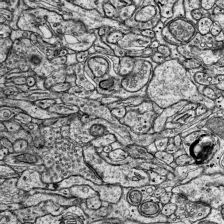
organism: Mouse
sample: Visual Cortex